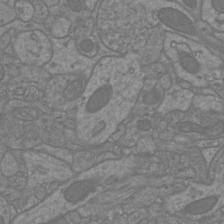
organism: Mouse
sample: Cortical neurons